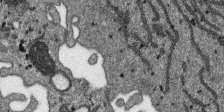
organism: Human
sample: Lung epithelial cells infected with SARS-CoV-2